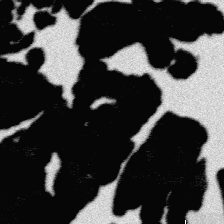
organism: Platynereis dumerilii